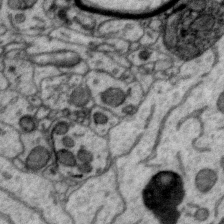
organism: Zebra finch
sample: Brain